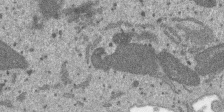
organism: Human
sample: Lung epithelial cells infected with SARS-CoV-2